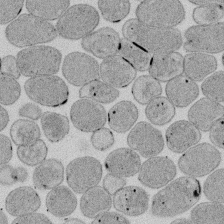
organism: E. coli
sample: Bacterial nucleoid